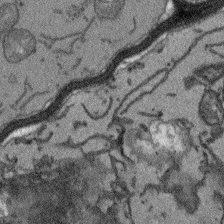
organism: Arabidopsis thaliana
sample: Root tip